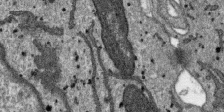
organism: Human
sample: Lung epithelial cells, uninfected (mock) control